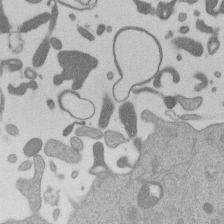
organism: Mouse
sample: Dividing mouse embryo 1 cell stage